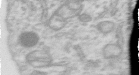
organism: Human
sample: Centriole in RPE cells